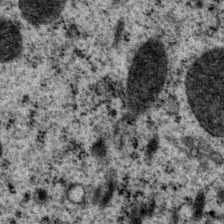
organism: P. pacificus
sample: Pharynx